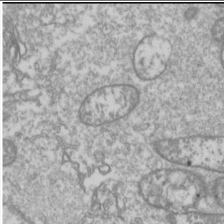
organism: Drosophila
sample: Cell division; meiosis; drosophila spermatocytes